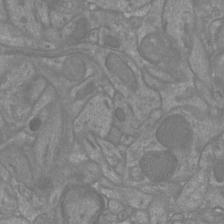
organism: Mouse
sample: Cortical neurons